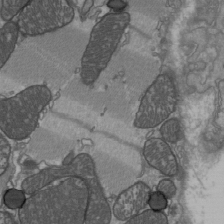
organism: C57BL Mouse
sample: Heart